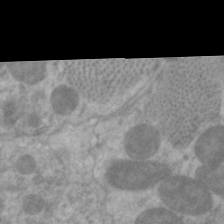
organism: C. elegans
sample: Pharynx